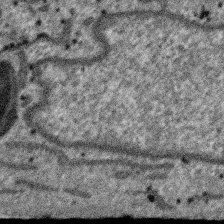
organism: Human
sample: Lung epithelial cells infected with SARS-CoV-2